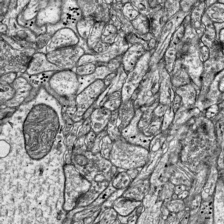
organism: Mouse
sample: Visual Cortex